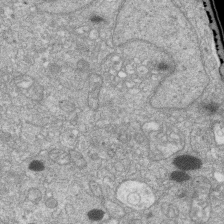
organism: Human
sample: HeLa cell HIV synapse